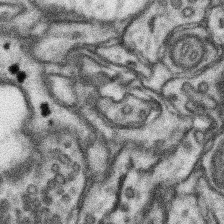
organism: Mouse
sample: Somatosensory cortex neuropil